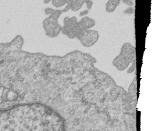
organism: Human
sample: MDA-MB-231 cells